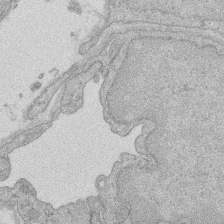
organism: Rat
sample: Salivary granule